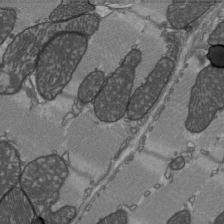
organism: C57BL Mouse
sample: Heart